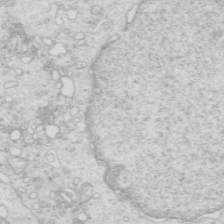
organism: Mouse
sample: Multiciliated cells